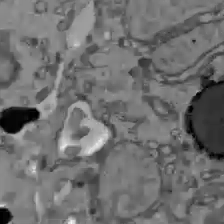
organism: C57BL Mouse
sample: Liver